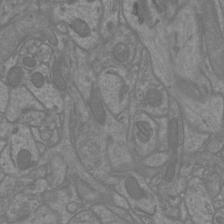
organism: Mouse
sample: Cortical neurons